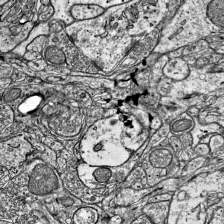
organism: Mouse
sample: Visual Cortex